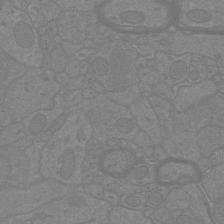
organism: Mouse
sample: Cortical neurons